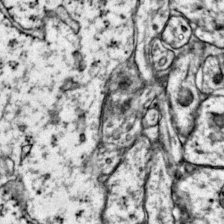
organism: Mouse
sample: Primary visual cortex